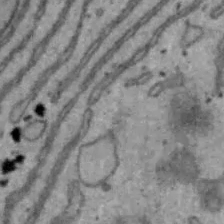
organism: Mouse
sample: Liver